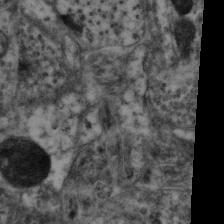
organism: Mouse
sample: Neocortex